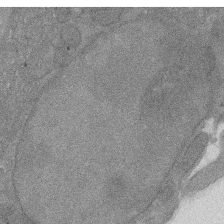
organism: Rat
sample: Salivary granule